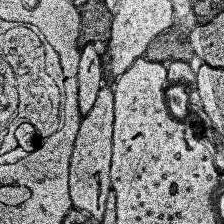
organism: Human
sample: Temporal Lobe